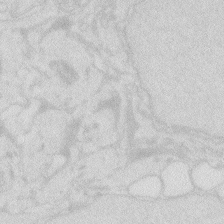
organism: Zebrafish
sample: Macrophage